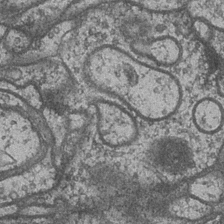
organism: Drosophila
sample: Optic medulla